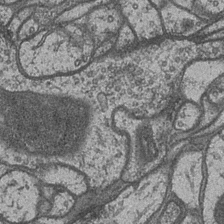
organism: Drosophila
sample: Optic medulla